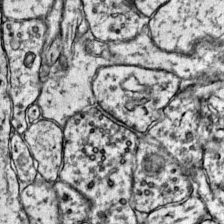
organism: Mouse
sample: Primary visual cortex